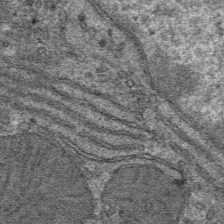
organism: Mouse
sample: Mouse hepatocytes